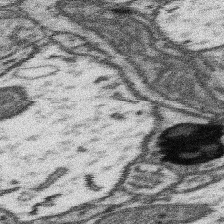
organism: Mouse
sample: Somatosensory cortex neuropil